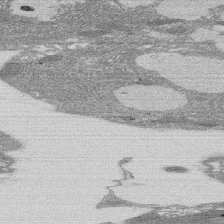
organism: Rat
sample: Salivary granule